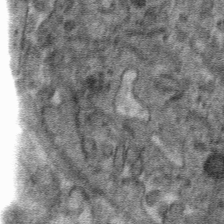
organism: Mouse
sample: Mouse hepatocytes